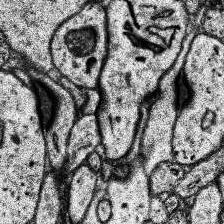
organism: Human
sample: Temporal Lobe